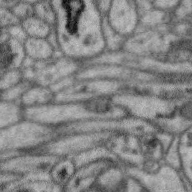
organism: Zebra finch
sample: Brain